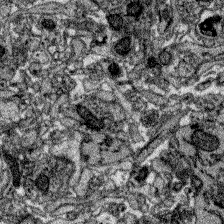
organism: Zebrafish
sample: Larval olfactory bulb